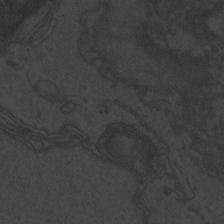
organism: Zebrafish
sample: Macrophage infected with Toxoplasma gondii